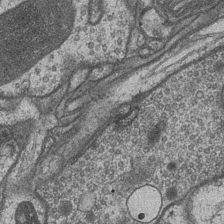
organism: Drosophila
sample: Optic medulla